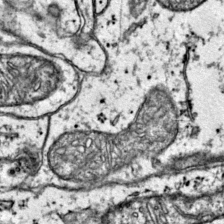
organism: Mouse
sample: Primary visual cortex